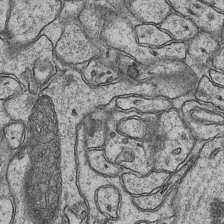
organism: Mouse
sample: CA1 Hippocampus